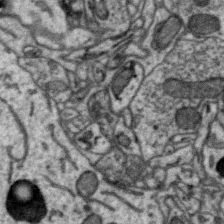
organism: Zebra finch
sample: Brain